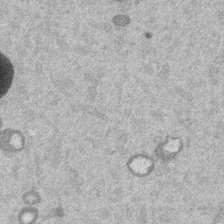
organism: Mouse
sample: Dividing mouse embryo 1 cell stage